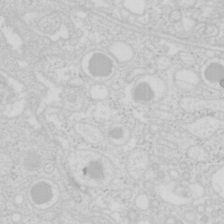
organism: Mouse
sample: Pancreas